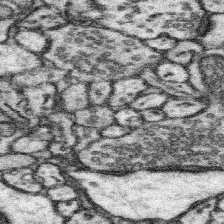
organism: Mouse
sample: Somatosensory cortex neuropil